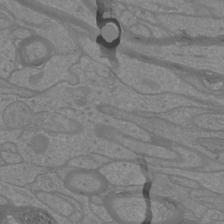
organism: Mouse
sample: Cortical neurons